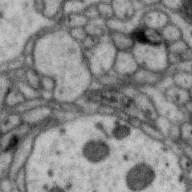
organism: Zebra finch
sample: Brain